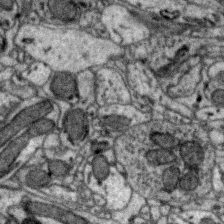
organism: Zebra finch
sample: Brain